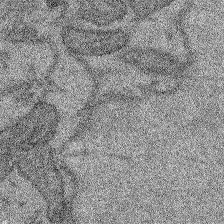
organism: Human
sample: HeLa cells